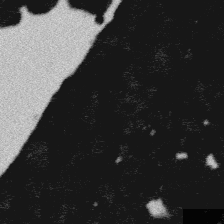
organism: Platynereis dumerilii